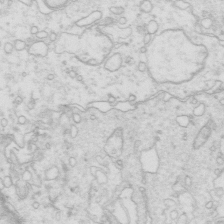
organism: Mouse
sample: Multiciliated cells